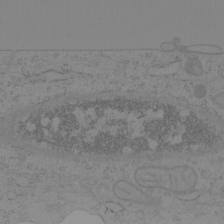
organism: Human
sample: HeLa cells